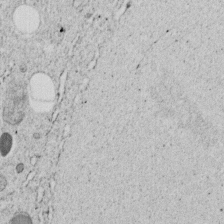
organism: C. elegans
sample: C. elegans embryo early stage